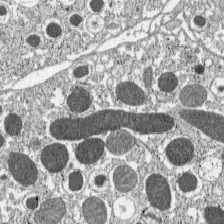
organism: C57BL Mouse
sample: Pancreatic islet